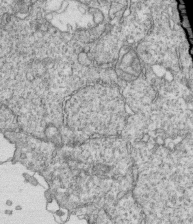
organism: Human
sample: HeLa cell HIV synapse